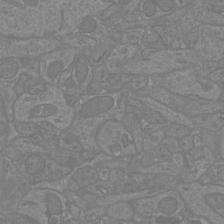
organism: Mouse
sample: Cortical neurons